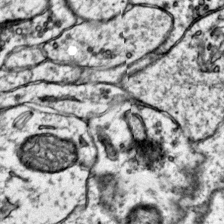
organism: Mouse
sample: Primary visual cortex